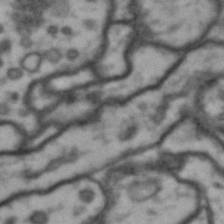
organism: Drosophila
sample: Brain